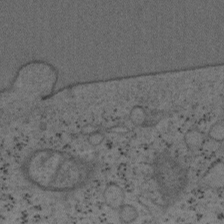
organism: Human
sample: HeLa cells